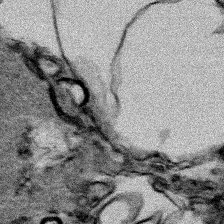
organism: Human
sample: Mitochondria in HCT116 cells